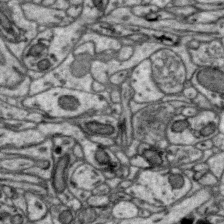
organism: Zebra finch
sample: Brain